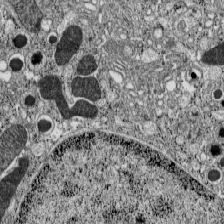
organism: C57BL Mouse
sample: Pancreatic islet